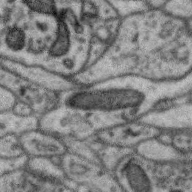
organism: Zebra finch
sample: Brain